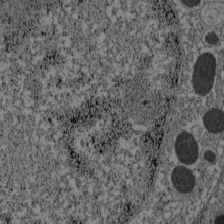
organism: C57BL Mouse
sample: Pancreatic islet